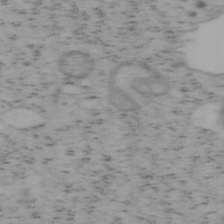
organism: Mouse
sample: OT-I killer T cells with ID8 ovarian cancer cells